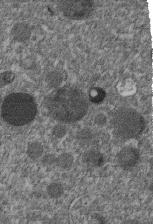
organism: C. elegans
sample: C. elegans embryo early stage